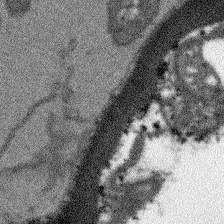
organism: Arabidopsis thaliana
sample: Root tip